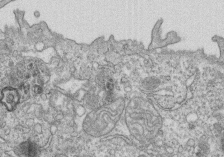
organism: Human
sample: HeLa cell HIV synapse